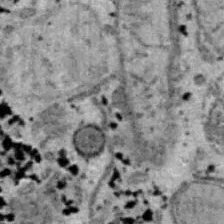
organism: Mouse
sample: Liver from an obese (ob/ob) mouse